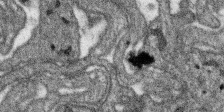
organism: Human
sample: Lung epithelial cells infected with SARS-CoV-2